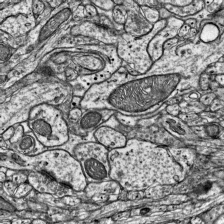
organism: Mouse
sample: Visual Cortex